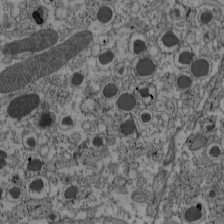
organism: C57BL Mouse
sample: Pancreatic islet